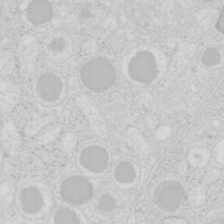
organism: Mouse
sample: Pancreas